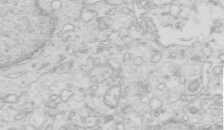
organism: Mouse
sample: Multiciliated cells